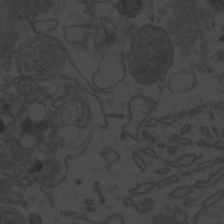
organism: Zebrafish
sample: Macrophage infected with Toxoplasma gondii